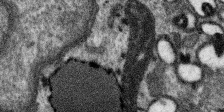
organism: Human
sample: Lung epithelial cells infected with SARS-CoV-2